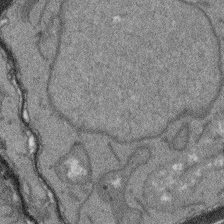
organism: Arabidopsis thaliana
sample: Root tip